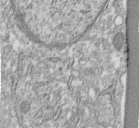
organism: Human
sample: Centriole in fibroblast cells